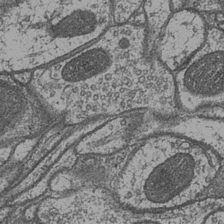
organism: Drosophila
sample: Optic medulla